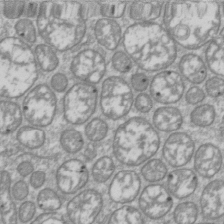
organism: Drosophila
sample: Cell division; meiosis; drosophila spermatocytes